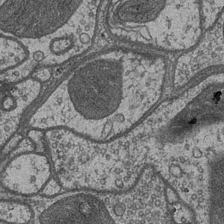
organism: Drosophila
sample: Optic medulla